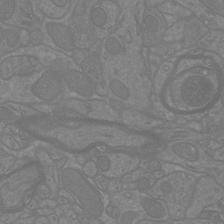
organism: Mouse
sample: Cortical neurons